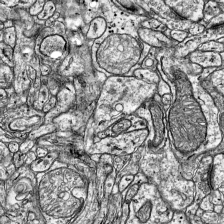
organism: Mouse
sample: Visual Cortex